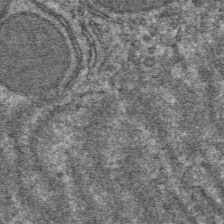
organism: Mouse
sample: Mouse hepatocytes